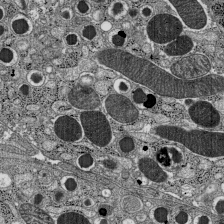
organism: C57BL Mouse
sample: Pancreatic islet